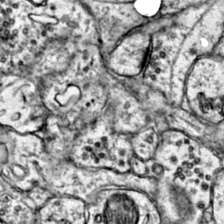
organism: Mouse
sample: Primary visual cortex